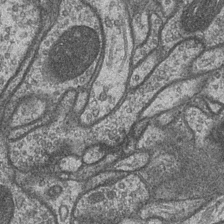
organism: Drosophila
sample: Optic medulla